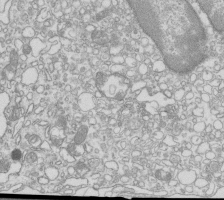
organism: Mouse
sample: Macrophages